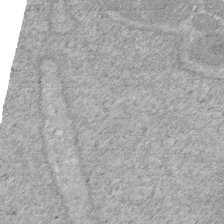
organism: Human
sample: HIV infected U937 cells